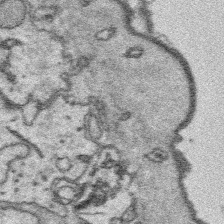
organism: Platynereis dumerilii